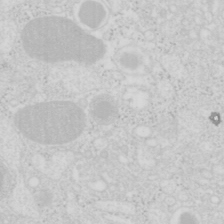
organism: Mouse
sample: Pancreas